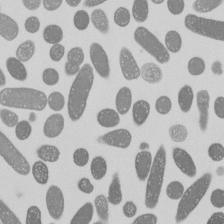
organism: E. coli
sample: Bacterial nucleoid